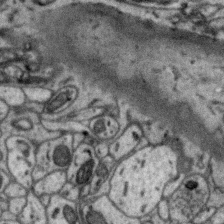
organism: Zebra finch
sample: Brain